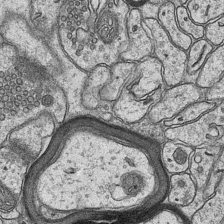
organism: Mouse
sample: CA1 Hippocampus